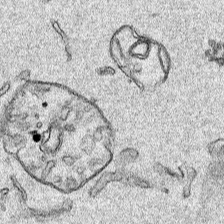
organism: Human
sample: Mitochondria in HCT116 cells